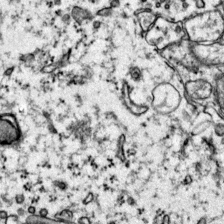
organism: Mouse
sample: Primary visual cortex